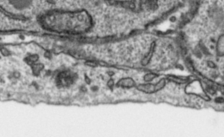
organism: Toxoplasma gondii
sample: Parasites in a vacuole inside a host cell